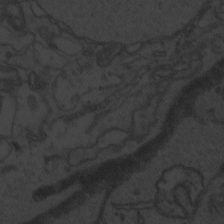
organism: Zebrafish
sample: Macrophage infected with Toxoplasma gondii